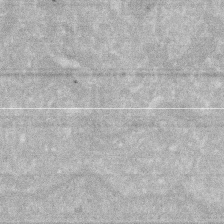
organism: Human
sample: HIV infected U937 cells